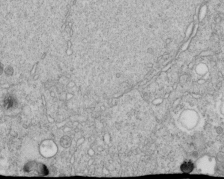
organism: C. elegans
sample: C. elegans embryo early stage